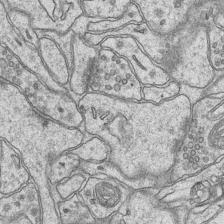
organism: Mouse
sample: CA1 Hippocampus